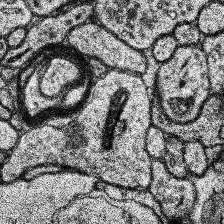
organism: Human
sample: Temporal Lobe